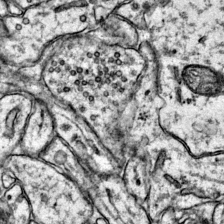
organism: Mouse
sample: Primary visual cortex